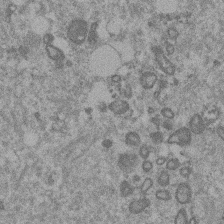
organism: Mouse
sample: Dividing mouse embryo 1 cell stage